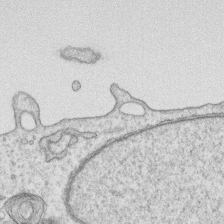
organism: Human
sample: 1205lu cells